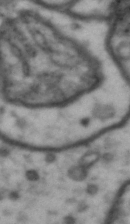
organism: Drosophila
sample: Brain